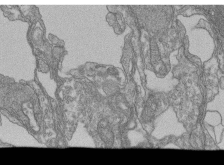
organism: Human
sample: Retinal organoid Rod and Cone cells